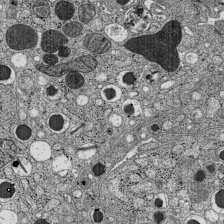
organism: C57BL Mouse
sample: Pancreatic islet